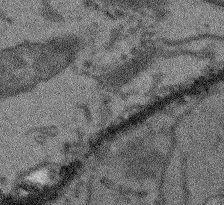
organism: Arabidopsis thaliana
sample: Root tip